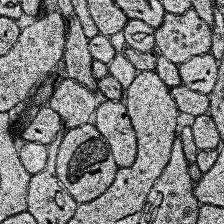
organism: Human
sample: Temporal Lobe